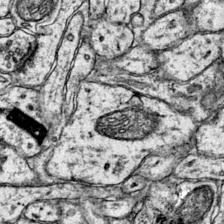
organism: Mouse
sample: Primary visual cortex